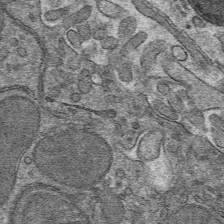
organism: Mouse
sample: Mouse hepatocytes